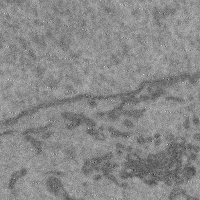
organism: Mouse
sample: Cerebral cortex